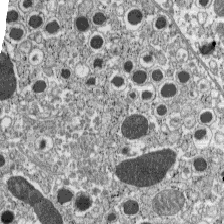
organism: C57BL Mouse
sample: Pancreatic islet